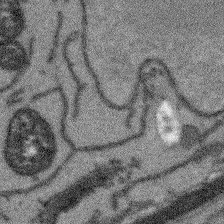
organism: Arabidopsis thaliana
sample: Root tip